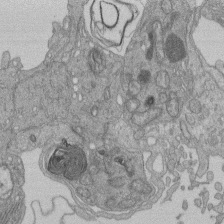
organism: Human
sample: Retinal organoid Rod and Cone cells